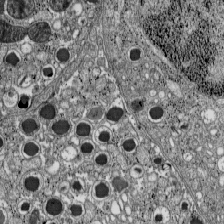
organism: C57BL Mouse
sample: Pancreatic islet